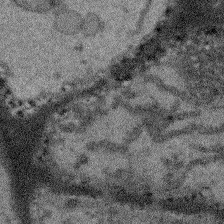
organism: Arabidopsis thaliana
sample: Root tip